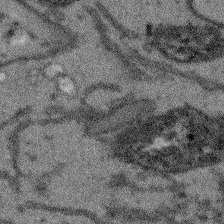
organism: Arabidopsis thaliana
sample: Root tip